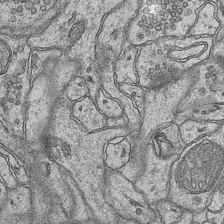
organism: Mouse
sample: CA1 Hippocampus